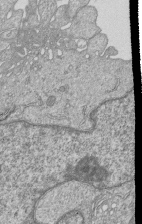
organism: Human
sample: MDA-MB-231 cells